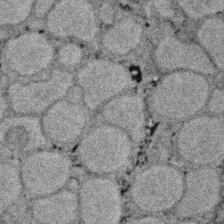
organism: Zebrafish